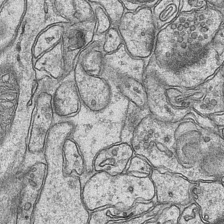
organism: Mouse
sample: CA1 Hippocampus